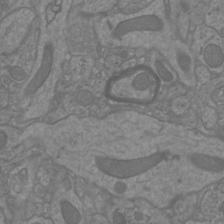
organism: Mouse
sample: Cortical neurons